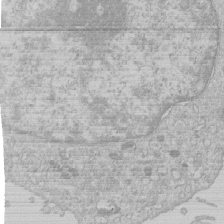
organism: Human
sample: Macrophage cells